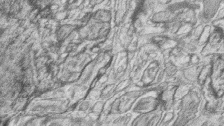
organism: Zebrafish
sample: synaptic ribbons in rod cells and cone cells